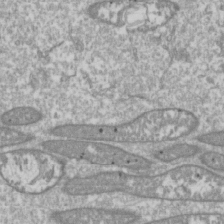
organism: Drosophila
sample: Cell division; meiosis; drosophila spermatocytes